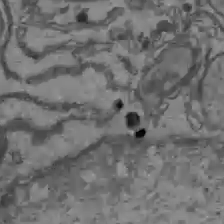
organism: C57BL Mouse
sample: Liver